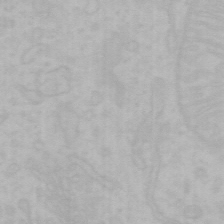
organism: Mouse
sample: Choroid plexus